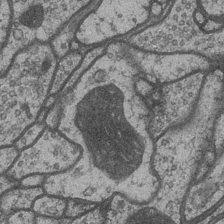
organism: Drosophila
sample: Optic medulla